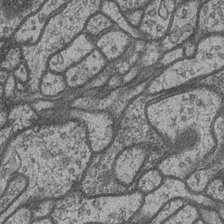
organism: Drosophila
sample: Optic medulla